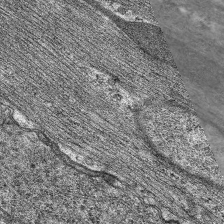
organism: C. elegans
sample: Pharynx